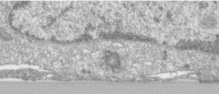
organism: Human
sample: Centriole in RPE cells